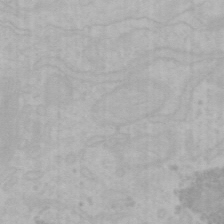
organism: Mouse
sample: Choroid plexus